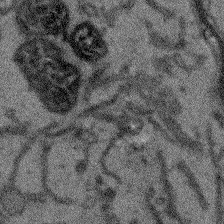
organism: Arabidopsis thaliana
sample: Root tip